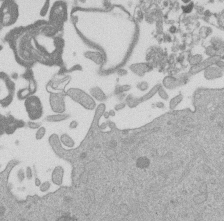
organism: Mouse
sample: Dividing mouse embryo 1 cell stage